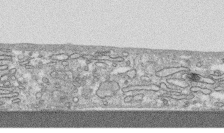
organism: Human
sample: CRL-1474